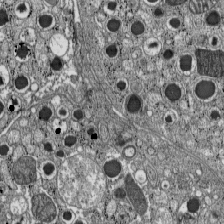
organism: C57BL Mouse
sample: Pancreatic islet